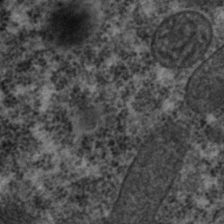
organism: C. elegans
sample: C. elegans embryo